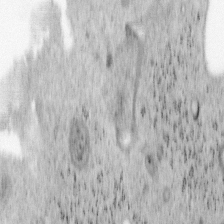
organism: Human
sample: HeLa cells